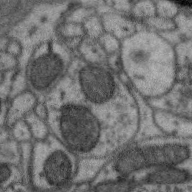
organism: Zebra finch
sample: Brain